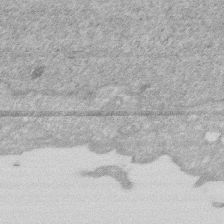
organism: Human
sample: HIV infected U937 cells